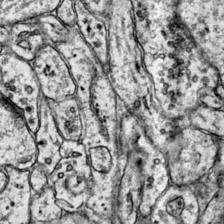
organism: Mouse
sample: Primary visual cortex